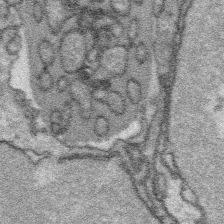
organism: Platynereis dumerilii